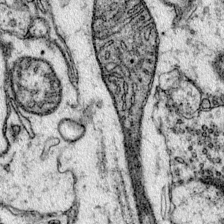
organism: Mouse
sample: Primary visual cortex